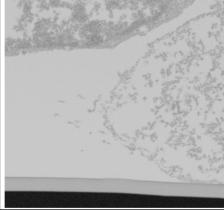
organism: Mouse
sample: Cancer cell death in ED-1 cells